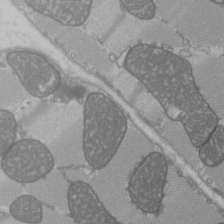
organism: C57BL Mouse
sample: Heart